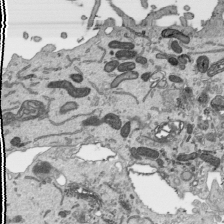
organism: Human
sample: Mitochondria in HCT116 cells